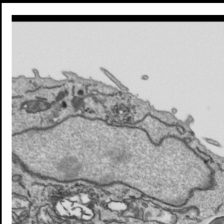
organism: Human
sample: Mitochondria in HCT116 cells